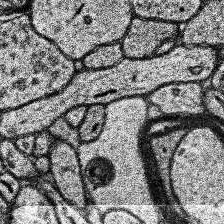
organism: Human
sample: Temporal Lobe